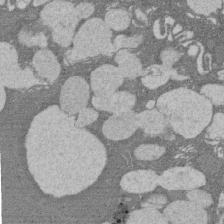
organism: Rat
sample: Salivary granule